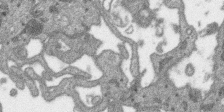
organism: Human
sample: Lung epithelial cells infected with SARS-CoV-2